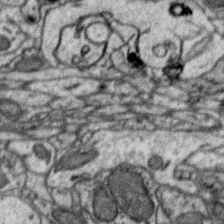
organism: Zebra finch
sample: Brain